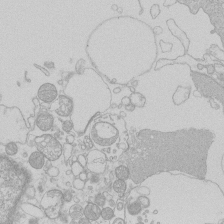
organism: Human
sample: Macrophage cells